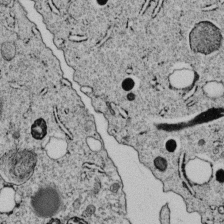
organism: C. elegans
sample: C. elegans embryo early stage